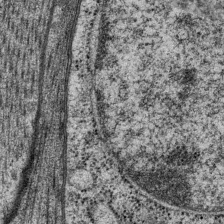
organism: P. pacificus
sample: Pharynx